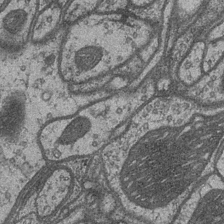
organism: Drosophila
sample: Optic medulla